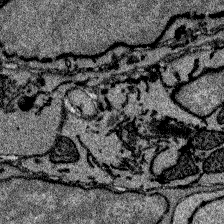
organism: Zebrafish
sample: Larval olfactory bulb